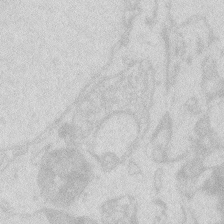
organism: Zebrafish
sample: Macrophage